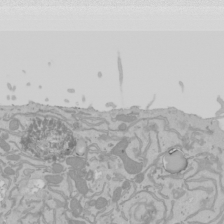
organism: Mouse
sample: Cancer cell death in ED-1 cells